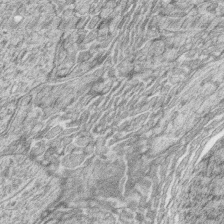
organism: Zebrafish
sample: synaptic ribbons in rod cells and cone cells